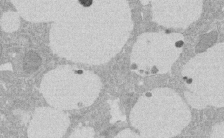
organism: Rat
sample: Salivary granule